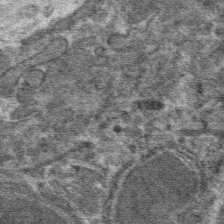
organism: Mouse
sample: Mouse hepatocytes